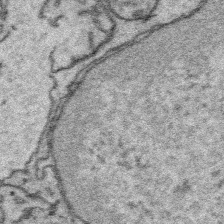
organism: Platynereis dumerilii